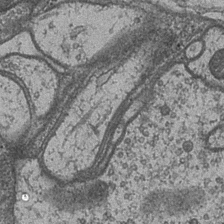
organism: Drosophila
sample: Optic medulla